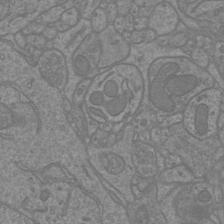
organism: Mouse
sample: Cortical neurons